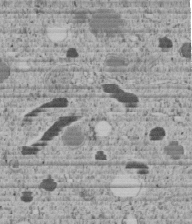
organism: C. elegans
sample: C. elegans embryo early stage